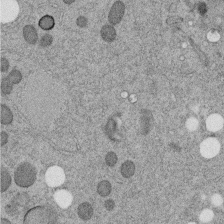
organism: C. elegans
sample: C. elegans embryo early stage